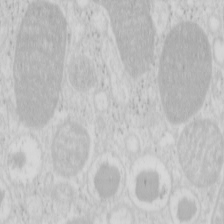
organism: Mouse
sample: Pancreas